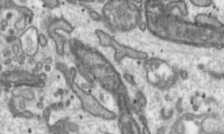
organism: Toxoplasma gondii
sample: Parasites in a vacuole inside a host cell